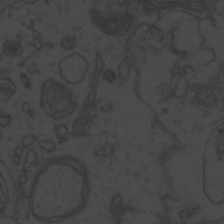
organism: Zebrafish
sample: Macrophage infected with Toxoplasma gondii